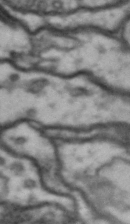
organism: Drosophila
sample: Brain